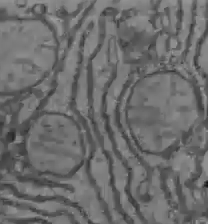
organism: C57BL Mouse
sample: Liver